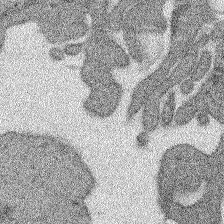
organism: Human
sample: HeLa cells